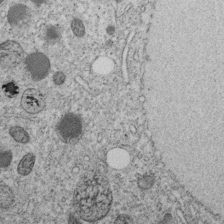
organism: C. elegans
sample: C. elegans embryo early stage